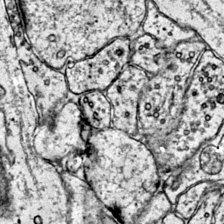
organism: Mouse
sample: Primary visual cortex